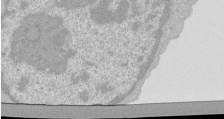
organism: Mouse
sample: Activated Pmel transgenic CD8+ T Cells